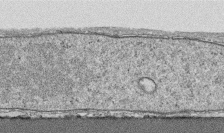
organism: Human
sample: CRL-1474